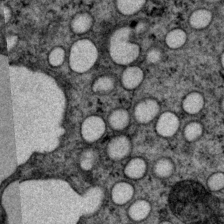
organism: P. pacificus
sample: Pharynx